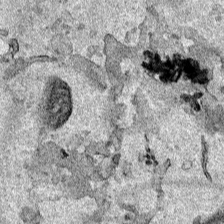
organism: Human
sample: Mitochondria in HCT116 cells